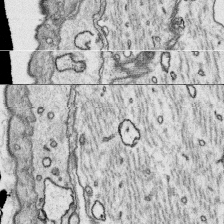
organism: Platynereis dumerilii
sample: Parapodia